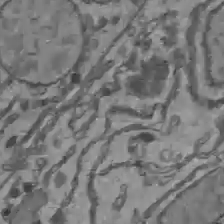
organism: C57BL Mouse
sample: Liver